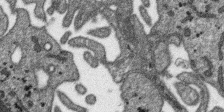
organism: Human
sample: Lung epithelial cells infected with SARS-CoV-2